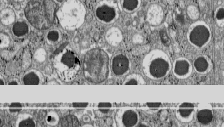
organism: C57BL Mouse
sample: Pancreatic islet